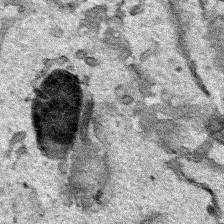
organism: Human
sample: Mitochondria in HCT116 cells